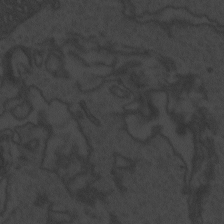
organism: Zebrafish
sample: Macrophage infected with Toxoplasma gondii